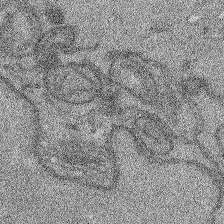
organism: Human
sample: HeLa cells